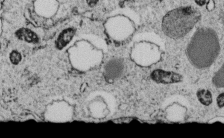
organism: C. elegans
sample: C. elegans embryo early stage